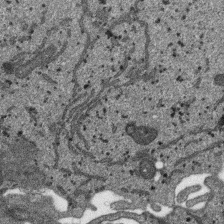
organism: Human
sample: Lung epithelial cells infected with SARS-CoV-2